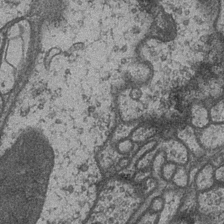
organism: Drosophila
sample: Optic medulla